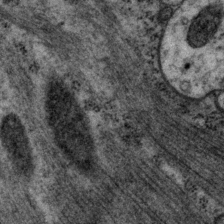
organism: P. pacificus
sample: Pharynx